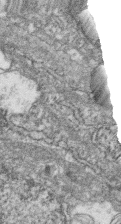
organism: Zebrafish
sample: Cilia; retinal pigment epithelium